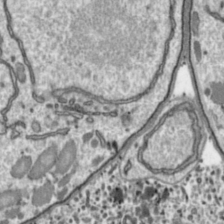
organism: Toxoplasma gondii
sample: Parasites in a vacuole inside a host cell